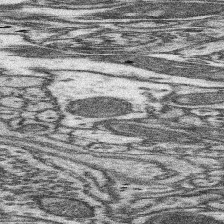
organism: Mouse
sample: Somatosensory cortex neuropil